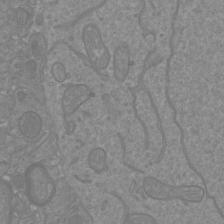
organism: Mouse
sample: Cortical neurons